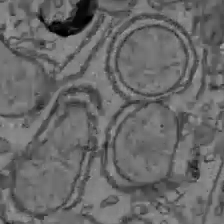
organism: C57BL Mouse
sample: Liver